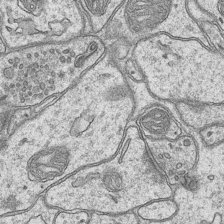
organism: Mouse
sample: CA1 Hippocampus